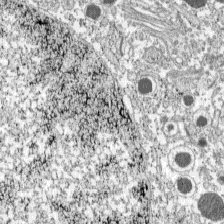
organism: C57BL Mouse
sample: Pancreatic islet